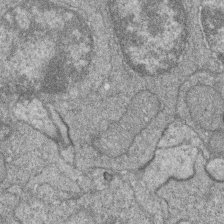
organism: Zebrafish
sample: Cilia; retinal pigment epithelium